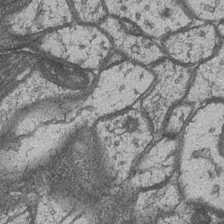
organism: Drosophila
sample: Optic medulla